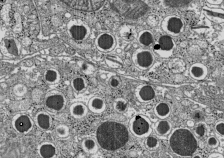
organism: C57BL Mouse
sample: Pancreatic islet